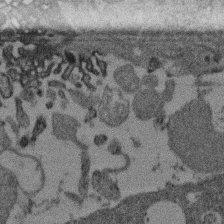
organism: Mouse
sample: Dividing mouse embryo 1 cell stage